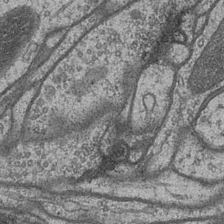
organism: Drosophila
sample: Optic medulla